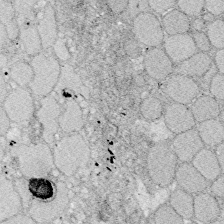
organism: Zebrafish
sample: Whole-Brain